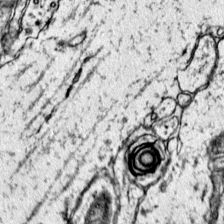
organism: Mouse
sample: Primary visual cortex